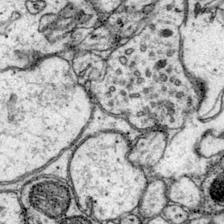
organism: Mouse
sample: Primary visual cortex